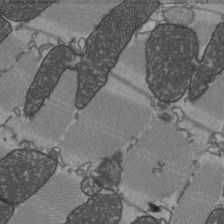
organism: C57BL Mouse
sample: Heart